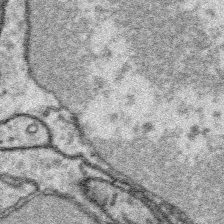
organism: Platynereis dumerilii